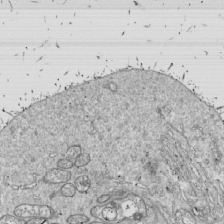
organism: Drosophila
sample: Cell division; meiosis; drosophila spermatocytes